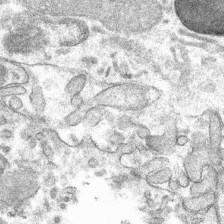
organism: Mouse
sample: Mouse hepatocytes